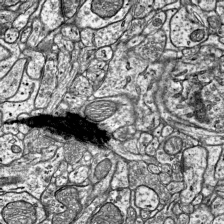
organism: Mouse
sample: Visual Cortex